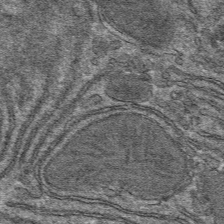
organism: Mouse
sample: Mouse hepatocytes